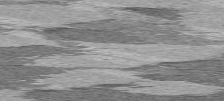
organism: C57BL Mouse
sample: Heart